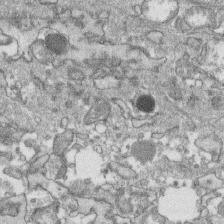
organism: Human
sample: CRL-1474